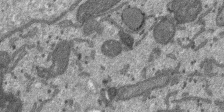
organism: Human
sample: Lung epithelial cells infected with SARS-CoV-2